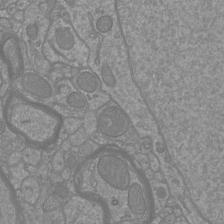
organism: Mouse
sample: Cortical neurons